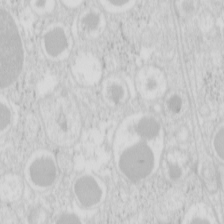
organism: Mouse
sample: Pancreas